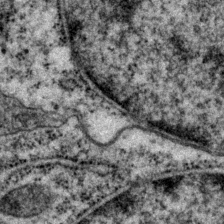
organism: P. pacificus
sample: Pharynx